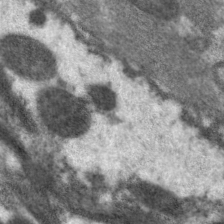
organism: C. elegans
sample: Pharynx